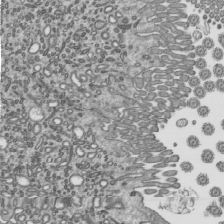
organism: Mouse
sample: Mouse epididymis efferent ductule cilia